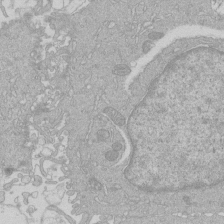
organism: Human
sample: Macrophage cells